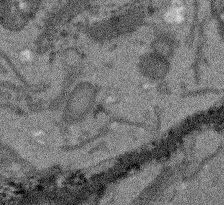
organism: Arabidopsis thaliana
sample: Root tip